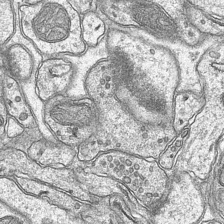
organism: Mouse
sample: CA1 Hippocampus